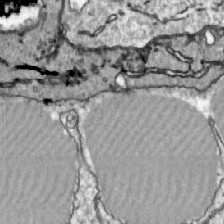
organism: Zebrafish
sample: Actinotrichia fibers